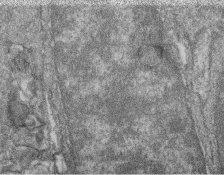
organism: Zebrafish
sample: Cilia; retinal pigment epithelium